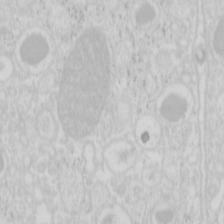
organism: Mouse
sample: Pancreas